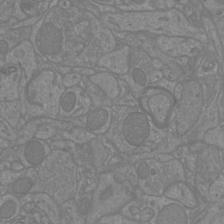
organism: Mouse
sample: Cortical neurons